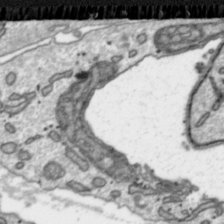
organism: Toxoplasma gondii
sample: Parasites in a vacuole inside a host cell